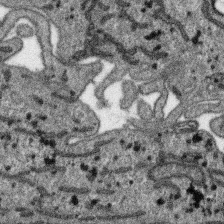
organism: Human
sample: Lung epithelial cells infected with SARS-CoV-2